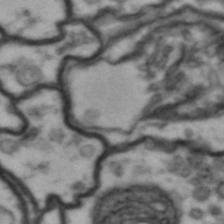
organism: Drosophila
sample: Brain